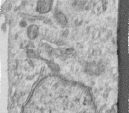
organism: Human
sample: Centriole in RPE cells